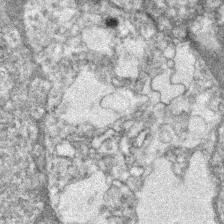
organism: Zebrafish